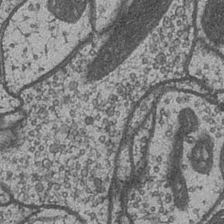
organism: Drosophila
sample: Optic medulla